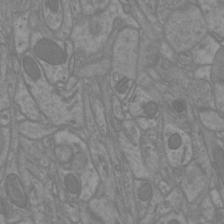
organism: Mouse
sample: Cortical neurons